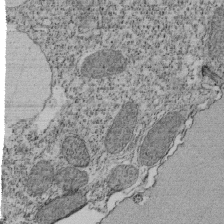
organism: Tetrahymena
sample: Cilia in tetrahymena